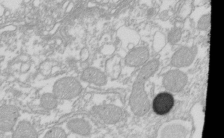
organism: Xenopus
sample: Cilia; centrioles in frog embryo cells